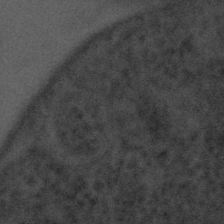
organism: Tuwongella immobilis